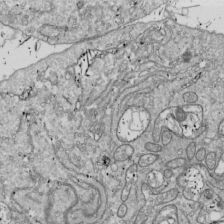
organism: Drosophila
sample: Cell division; meiosis; drosophila spermatocytes